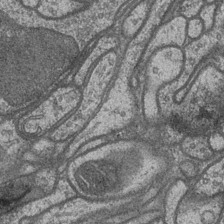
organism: Drosophila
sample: Optic medulla